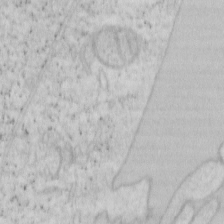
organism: Human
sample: HeLa cells